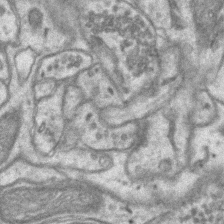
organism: Mouse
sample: CA1 Hippocampus